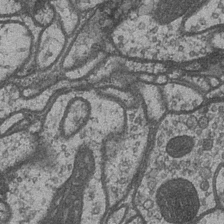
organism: Drosophila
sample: Optic medulla